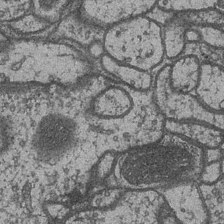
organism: Drosophila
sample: Optic medulla